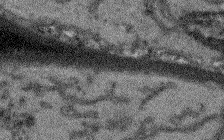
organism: Arabidopsis thaliana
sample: Root tip